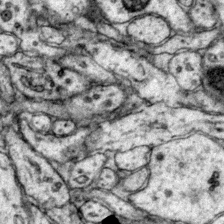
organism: Mouse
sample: Primary visual cortex